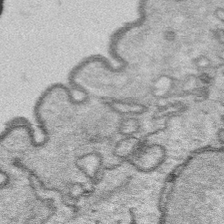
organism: Platynereis dumerilii